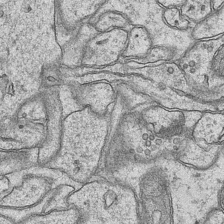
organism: Mouse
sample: CA1 Hippocampus